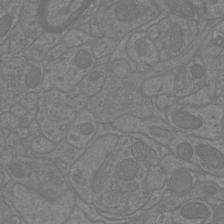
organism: Mouse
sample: Cortical neurons